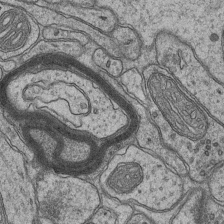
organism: Mouse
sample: CA1 Hippocampus